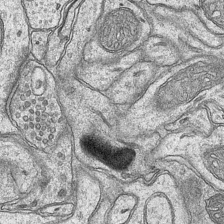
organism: Mouse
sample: CA1 Hippocampus